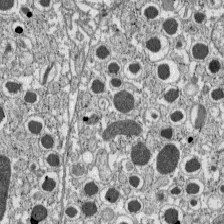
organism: C57BL Mouse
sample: Pancreatic islet